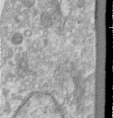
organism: Human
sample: Centriole in RPE cells